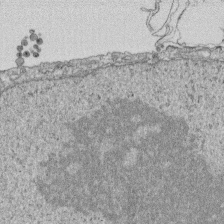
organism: Human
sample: HeLa cell HIV synapse